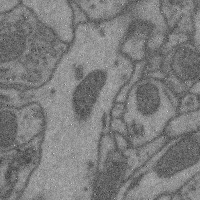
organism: Mouse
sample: Cerebral cortex